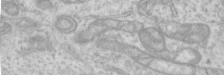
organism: Human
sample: Centriole in RPE cells